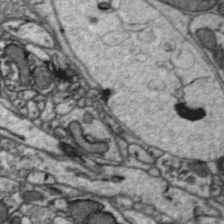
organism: Zebra finch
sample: Brain